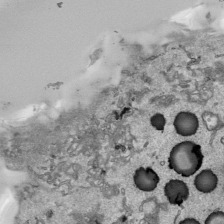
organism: Human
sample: Mitochondria in HCT116 cells